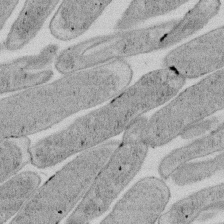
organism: E. coli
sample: Bacterial nucleoid